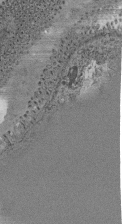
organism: C. elegans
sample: C. elegans pharynx